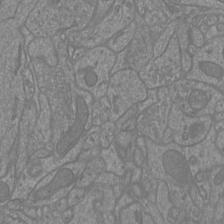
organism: Mouse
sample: Cortical neurons